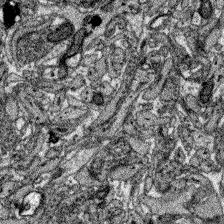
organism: Zebrafish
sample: Larval olfactory bulb